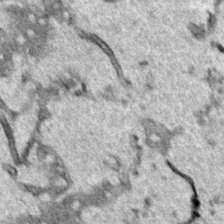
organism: Human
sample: Mitochondria in HCT116 cells